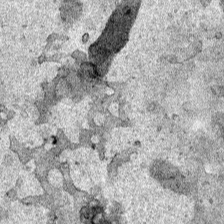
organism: Human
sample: Mitochondria in HCT116 cells